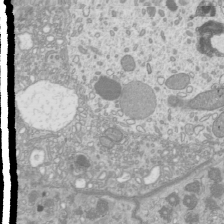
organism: Mouse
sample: Cilia; mouse epididymis